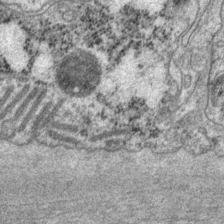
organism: P. pacificus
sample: Pharynx